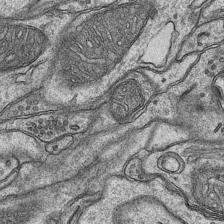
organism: Mouse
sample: CA1 Hippocampus